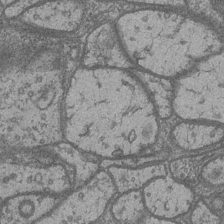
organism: Drosophila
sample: Optic medulla